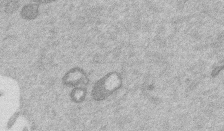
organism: Mouse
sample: Dividing mouse embryo 1 cell stage